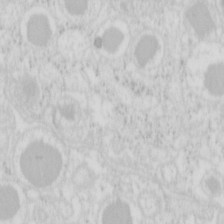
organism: Mouse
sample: Pancreas